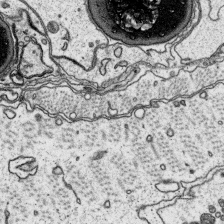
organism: Platynereis dumerilii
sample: Parapodia